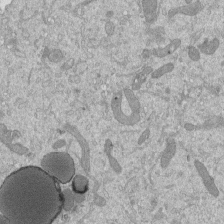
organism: Mouse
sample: ED-1 cell nuclei; centrioles